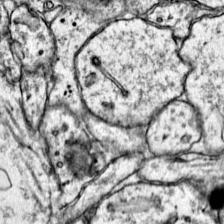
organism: Mouse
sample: Primary visual cortex